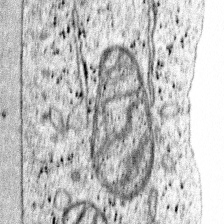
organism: Human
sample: HeLa cells